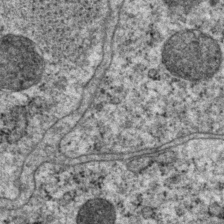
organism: P. pacificus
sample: Pharynx